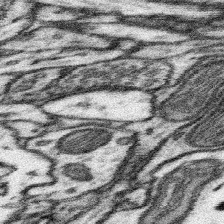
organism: Mouse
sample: Somatosensory cortex neuropil